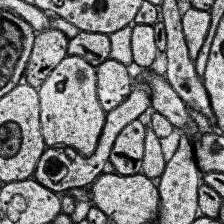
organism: Human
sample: Temporal Lobe